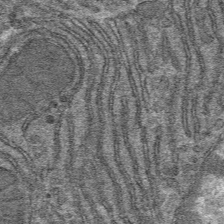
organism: Mouse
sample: Mouse hepatocytes